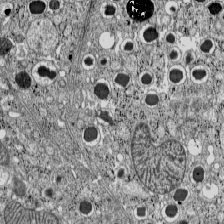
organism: C57BL Mouse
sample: Pancreatic islet